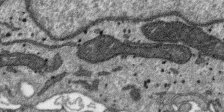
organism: Human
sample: Lung epithelial cells, uninfected (mock) control